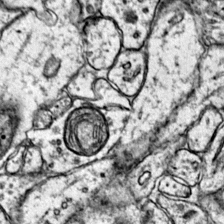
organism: Mouse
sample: Primary visual cortex